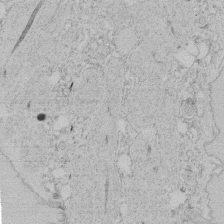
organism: Tetrahymena